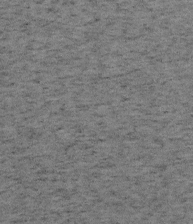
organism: Mouse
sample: OT-I killer T cells with ID8 ovarian cancer cells